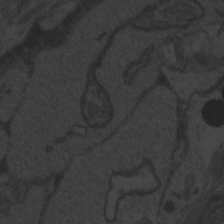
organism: Zebrafish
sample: Macrophage infected with Toxoplasma gondii